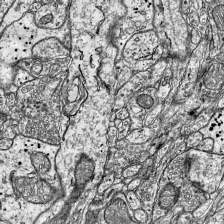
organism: Mouse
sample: Visual Cortex